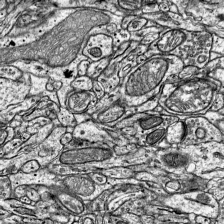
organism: Mouse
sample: Visual Cortex